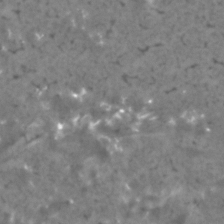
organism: Human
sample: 1205lu cells